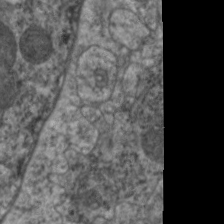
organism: C. elegans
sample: Pharynx